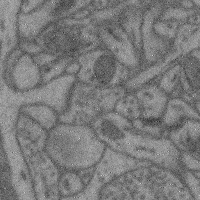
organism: Mouse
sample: Cerebral cortex